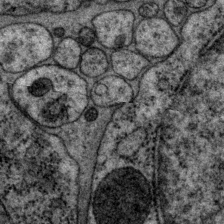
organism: P. pacificus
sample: Pharynx